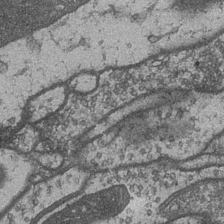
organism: Drosophila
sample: Optic medulla